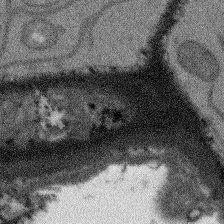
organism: Arabidopsis thaliana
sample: Root tip